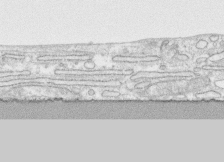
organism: Human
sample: CRL-1474